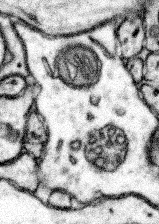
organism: Mouse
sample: Somatosensory cortex neuropil